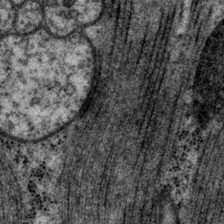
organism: P. pacificus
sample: Pharynx